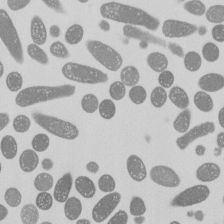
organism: E. coli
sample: Bacterial nucleoid